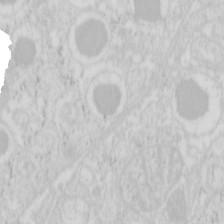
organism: Mouse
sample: Pancreas